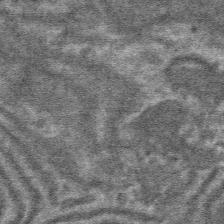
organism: Mouse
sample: Mouse hepatocytes